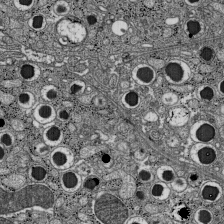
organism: C57BL Mouse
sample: Pancreatic islet